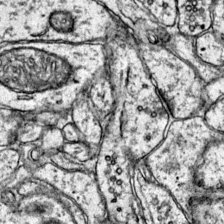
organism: Mouse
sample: Primary visual cortex